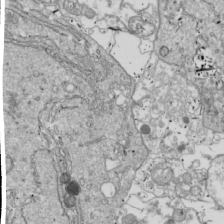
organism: Drosophila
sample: Cell division; meiosis; drosophila spermatocytes